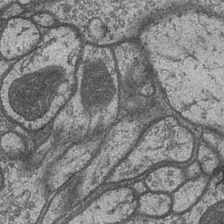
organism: Drosophila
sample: Optic medulla